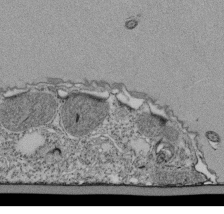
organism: Tetrahymena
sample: Cilia in tetrahymena